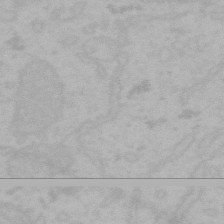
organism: Mouse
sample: Choroid plexus